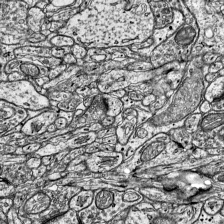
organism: Mouse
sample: Visual Cortex